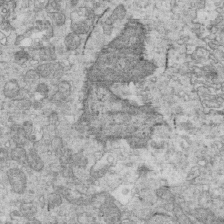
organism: Mouse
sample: Multiciliated cells